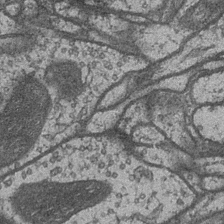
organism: Drosophila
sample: Optic medulla